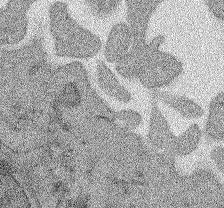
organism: Human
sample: HeLa cells